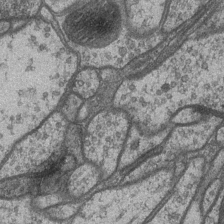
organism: Drosophila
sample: Optic medulla